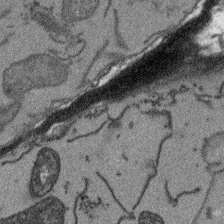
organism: Arabidopsis thaliana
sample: Root tip